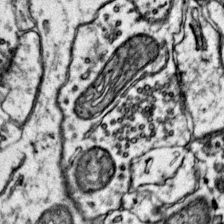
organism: Mouse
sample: Primary visual cortex